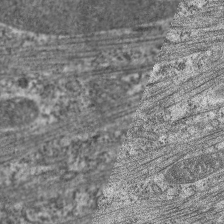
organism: C. elegans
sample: Pharynx